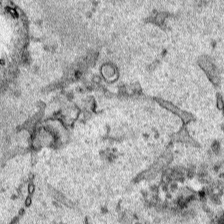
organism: Human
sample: Mitochondria in HCT116 cells